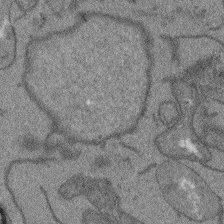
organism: Arabidopsis thaliana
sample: Root tip